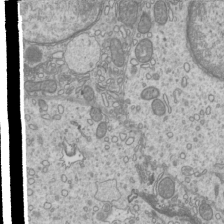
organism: Mouse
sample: Cilia; mouse epididymis